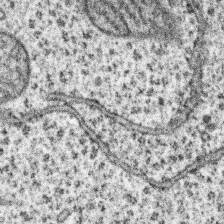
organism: Human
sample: HeLa cells